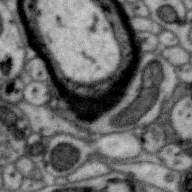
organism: Zebra finch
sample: Brain